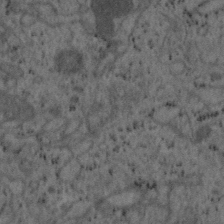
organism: Human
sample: HeLa cells